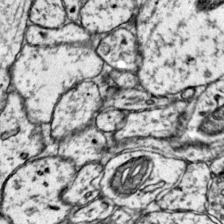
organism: Mouse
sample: Primary visual cortex